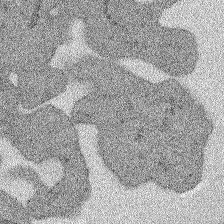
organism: Human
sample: HeLa cells